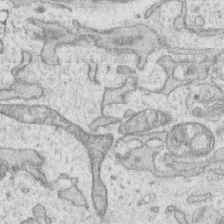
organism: Human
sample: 1205lu cells